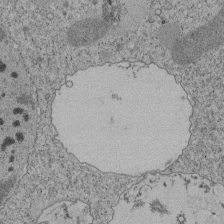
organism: Tetrahymena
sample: Cilia in tetrahymena